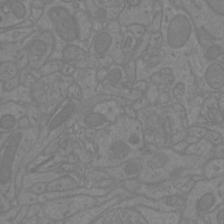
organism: Mouse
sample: Cortical neurons